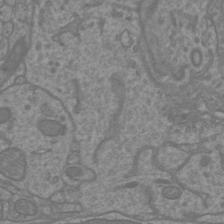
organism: Mouse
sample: Cortical neurons